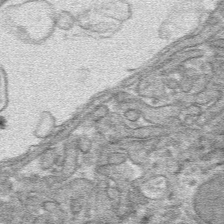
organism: Mouse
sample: Mouse hepatocytes